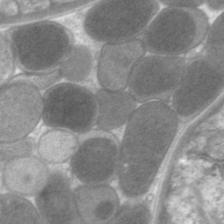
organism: C. elegans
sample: Pharynx